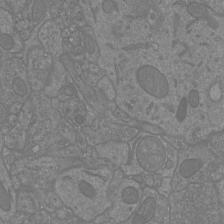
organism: Mouse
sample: Cortical neurons